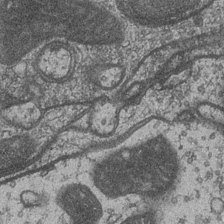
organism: Drosophila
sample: Optic medulla